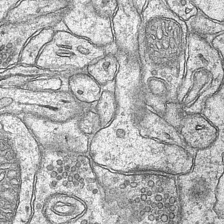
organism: Mouse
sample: CA1 Hippocampus